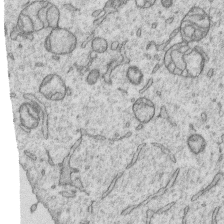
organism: Human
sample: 1205lu cells